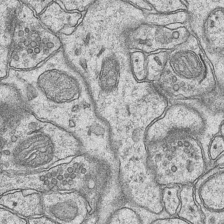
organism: Mouse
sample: CA1 Hippocampus